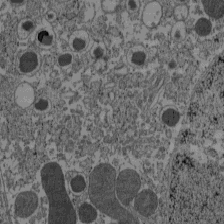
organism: C57BL Mouse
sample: Pancreatic islet